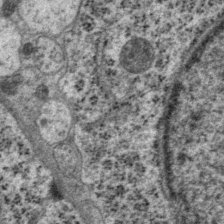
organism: P. pacificus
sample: Pharynx